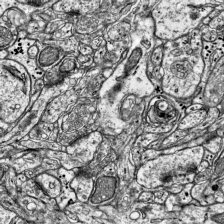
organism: Mouse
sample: Visual Cortex